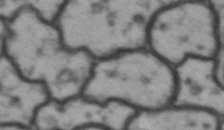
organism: Drosophila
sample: Brain